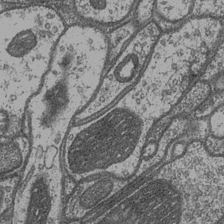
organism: Drosophila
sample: Optic medulla